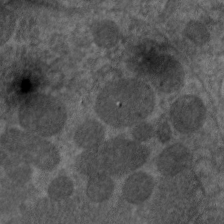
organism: C. elegans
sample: Pharynx